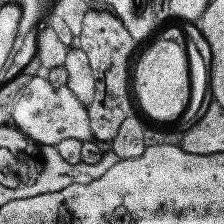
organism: Human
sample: Temporal Lobe